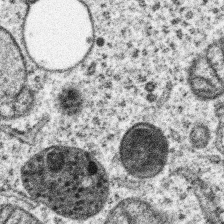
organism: Human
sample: HeLa cells